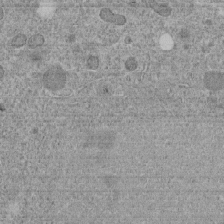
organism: C. elegans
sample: C. elegans embryo early stage